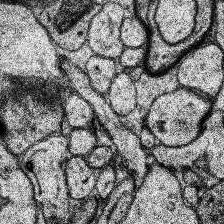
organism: Human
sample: Temporal Lobe